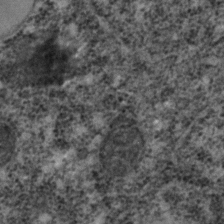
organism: C. elegans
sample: C. elegans embryo